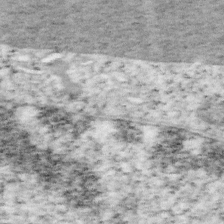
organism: Mouse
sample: OT-I killer T cells with ID8 ovarian cancer cells